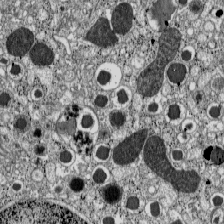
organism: C57BL Mouse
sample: Pancreatic islet